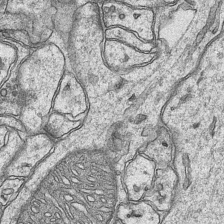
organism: Mouse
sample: CA1 Hippocampus